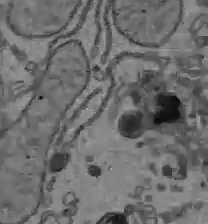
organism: C57BL Mouse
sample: Liver